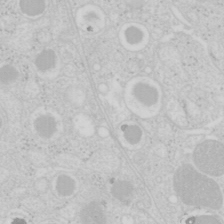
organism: Mouse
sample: Pancreas